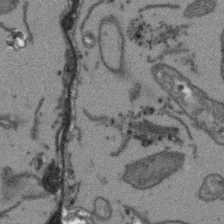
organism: Arabidopsis thaliana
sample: Root tip